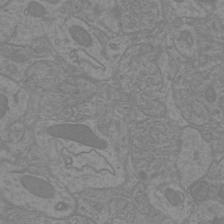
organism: Mouse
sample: Cortical neurons